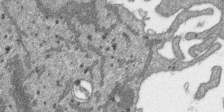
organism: Human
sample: Lung epithelial cells infected with SARS-CoV-2